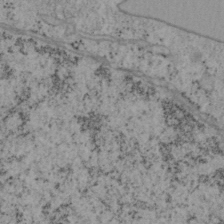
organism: Human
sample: HeLa cells